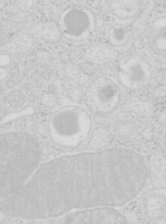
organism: Mouse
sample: Pancreas